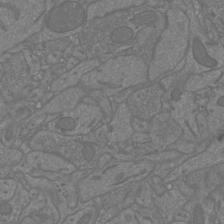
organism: Mouse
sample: Cortical neurons